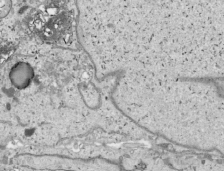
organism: Human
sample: Mitochondria in HCT116 cells